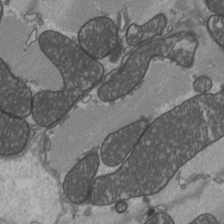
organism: C57BL Mouse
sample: Heart